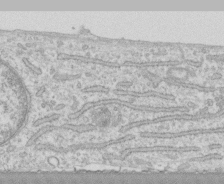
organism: Human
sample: CRL-1474